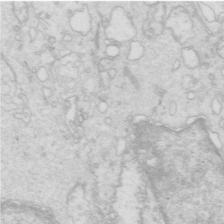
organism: Mouse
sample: Multiciliated cells